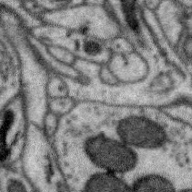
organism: Zebra finch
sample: Brain